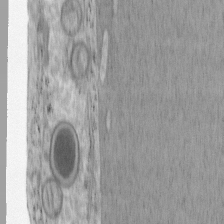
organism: Human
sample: HeLa cells